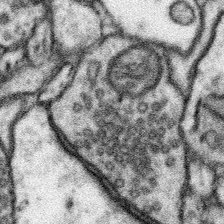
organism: Mouse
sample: Somatosensory cortex neuropil